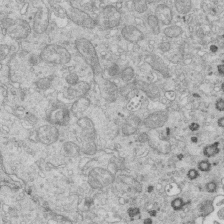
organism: Mouse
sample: Multiciliated cells